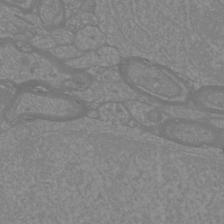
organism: Mouse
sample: Cortical neurons